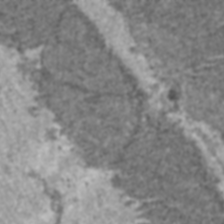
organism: C57BL Mouse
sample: Heart